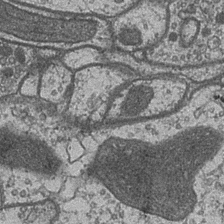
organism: Drosophila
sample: Optic medulla